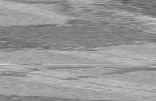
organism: C57BL Mouse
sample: Heart